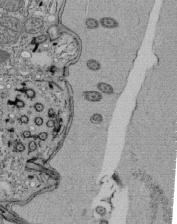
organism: Tetrahymena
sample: Cilia in tetrahymena